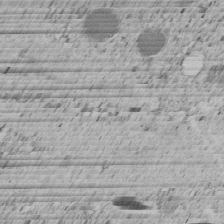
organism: C. elegans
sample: C. elegans embryo early stage